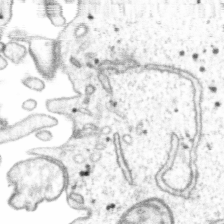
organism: Human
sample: HeLa cells